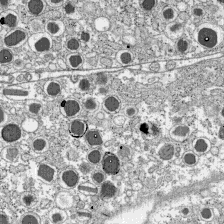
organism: C57BL Mouse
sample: Pancreatic islet